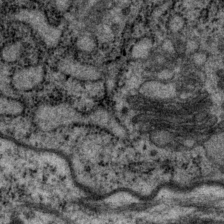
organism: P. pacificus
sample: Pharynx